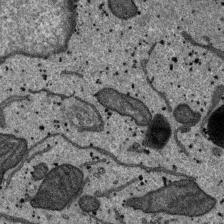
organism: Human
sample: Lung epithelial cells, uninfected (mock) control